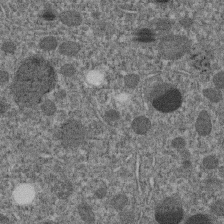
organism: C. elegans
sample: C. elegans embryo early stage